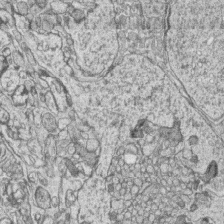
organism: Zebrafish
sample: synaptic ribbons in rod cells and cone cells